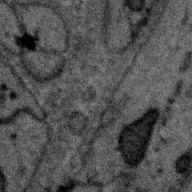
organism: Zebra finch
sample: Brain